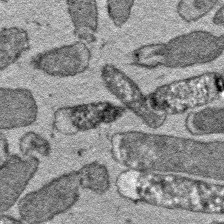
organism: E. coli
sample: E. Coli Bacteria